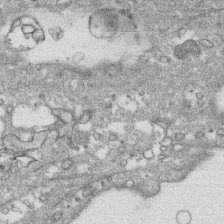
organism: Human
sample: CRL-1474